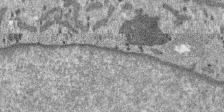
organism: Human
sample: Lung epithelial cells infected with SARS-CoV-2